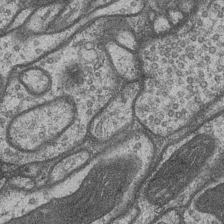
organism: Drosophila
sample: Optic medulla